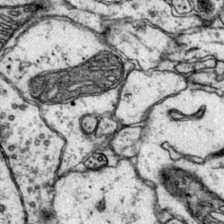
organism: Mouse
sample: Primary visual cortex